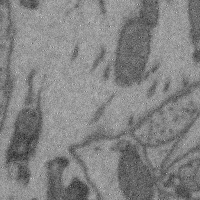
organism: Mouse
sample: Cerebral cortex